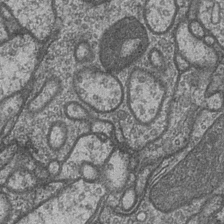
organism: Drosophila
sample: Optic medulla